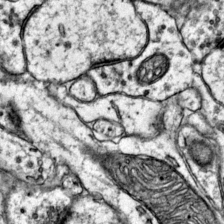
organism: Mouse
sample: Primary visual cortex